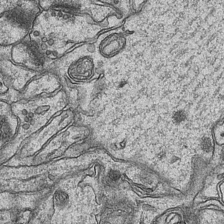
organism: Mouse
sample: CA1 Hippocampus